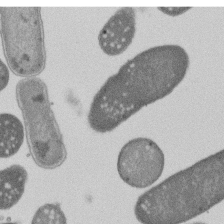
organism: E. coli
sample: Bacterial nucleoid